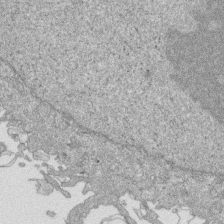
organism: Human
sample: HeLa cell HIV synapse